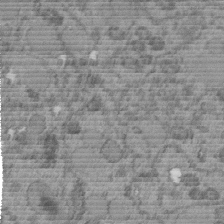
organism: C. elegans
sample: C. elegans embryo early stage